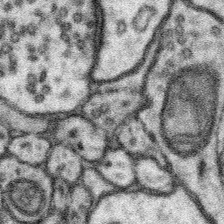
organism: Mouse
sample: Somatosensory cortex neuropil